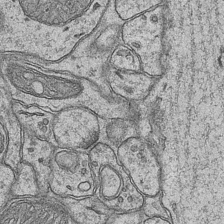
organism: Mouse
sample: CA1 Hippocampus